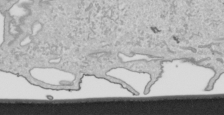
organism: Human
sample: Mitochondria in HCT116 cells